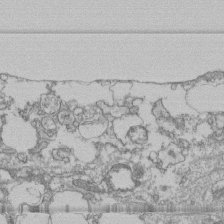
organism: Human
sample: Fibroblast cells